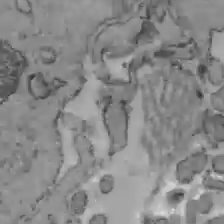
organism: C57BL Mouse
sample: Liver